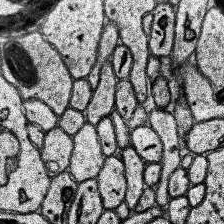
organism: Human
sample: Temporal Lobe